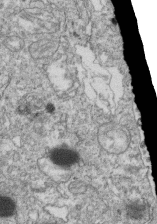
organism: Human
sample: HeLa cell HIV synapse